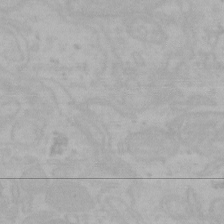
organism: Mouse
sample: Choroid plexus